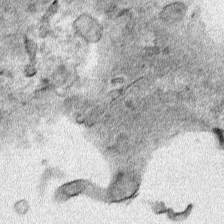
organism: Human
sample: Mitochondria in HCT116 cells